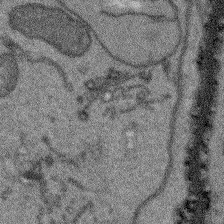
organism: Arabidopsis thaliana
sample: Root tip